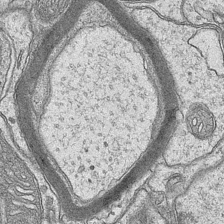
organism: Mouse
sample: CA1 Hippocampus